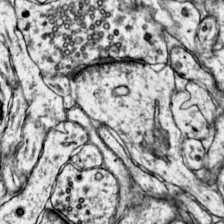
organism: Mouse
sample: Primary visual cortex